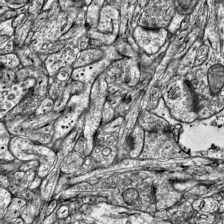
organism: Mouse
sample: Visual Cortex